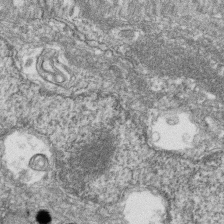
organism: Zebrafish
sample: Cilia; retinal pigment epithelium